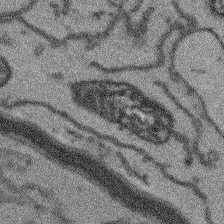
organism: Arabidopsis thaliana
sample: Root tip